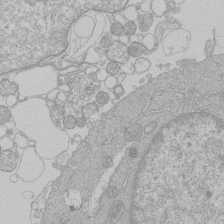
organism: Human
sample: Macrophage cells